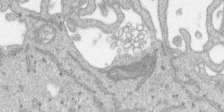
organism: Human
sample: Lung epithelial cells infected with SARS-CoV-2